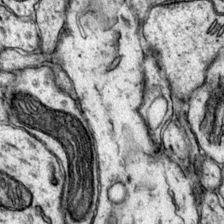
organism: Mouse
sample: Primary visual cortex